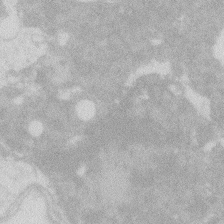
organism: Zebrafish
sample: Macrophage